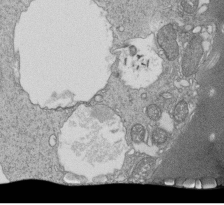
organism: Tetrahymena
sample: Cilia in tetrahymena